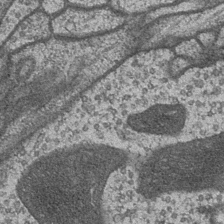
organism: Drosophila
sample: Optic medulla